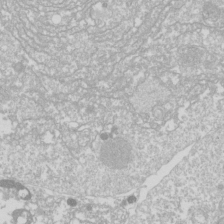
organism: Drosophila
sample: Cell division; meiosis; drosophila spermatocytes